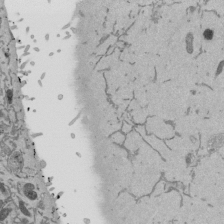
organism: Mouse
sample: ED-1 cell nuclei; centrioles